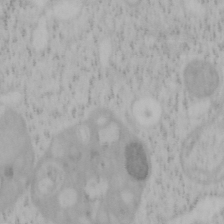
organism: Mouse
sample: OT-I killer T cells with ID8 ovarian cancer cells